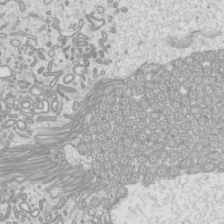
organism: Mouse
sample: Cilia; mouse epididymis